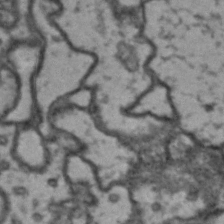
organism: Drosophila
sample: Brain